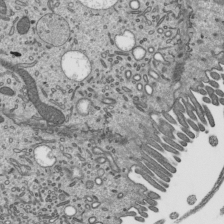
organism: Mouse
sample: Mouse epididymis efferent ductule cilia